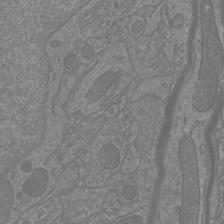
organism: Mouse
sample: Cortical neurons